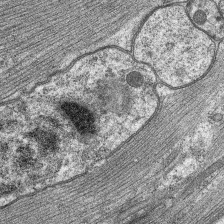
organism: C. elegans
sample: Pharynx